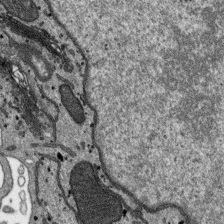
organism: Human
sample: Lung epithelial cells, uninfected (mock) control